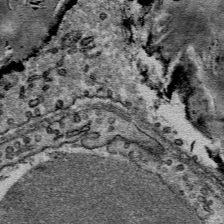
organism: Mouse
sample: Mouse Salivary gland